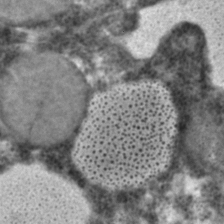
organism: C. elegans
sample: C. elegans embryo